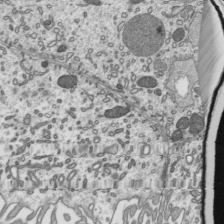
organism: Mouse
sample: Mouse epididymis efferent ductule cilia